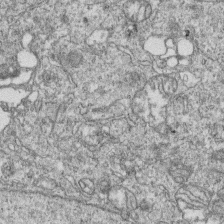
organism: Human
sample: HeLa cell HIV synapse